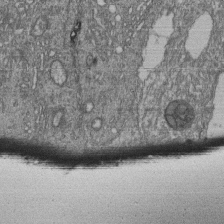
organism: Human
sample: Retinal organoid Rod and Cone cells